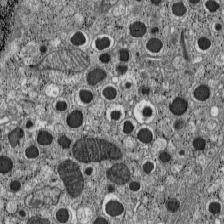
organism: C57BL Mouse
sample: Pancreatic islet